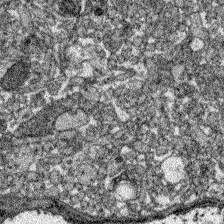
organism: Zebrafish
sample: Larval olfactory bulb